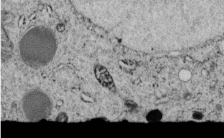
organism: C. elegans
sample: C. elegans embryo early stage